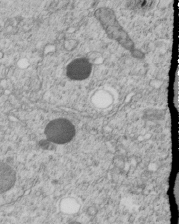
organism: C. elegans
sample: C. elegans embryo early stage